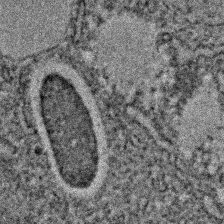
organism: C. elegans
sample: C. elegans embryo